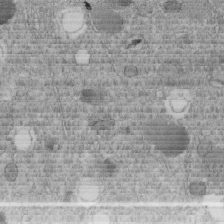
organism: C. elegans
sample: C. elegans embryo early stage